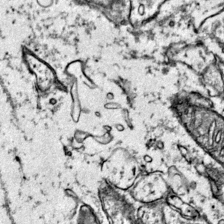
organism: Mouse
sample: Primary visual cortex